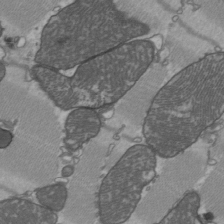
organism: C57BL Mouse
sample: Heart